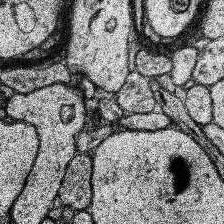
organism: Human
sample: Temporal Lobe